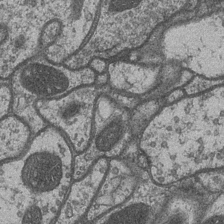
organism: Drosophila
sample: Optic medulla